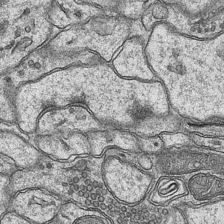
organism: Mouse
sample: CA1 Hippocampus